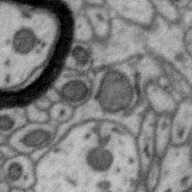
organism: Zebra finch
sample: Brain